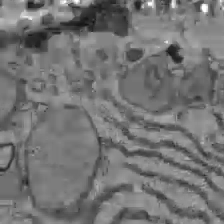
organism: C57BL Mouse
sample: Liver